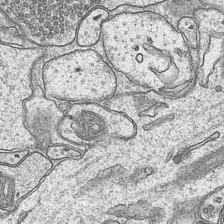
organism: Mouse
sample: CA1 Hippocampus